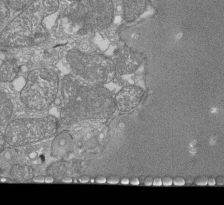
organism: Tetrahymena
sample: Cilia in tetrahymena